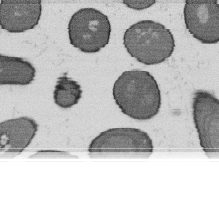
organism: B. subtilis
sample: Bacterial spore